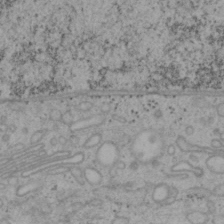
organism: Human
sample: HeLa cells